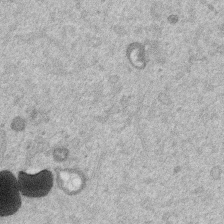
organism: Mouse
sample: Dividing mouse embryo 1 cell stage